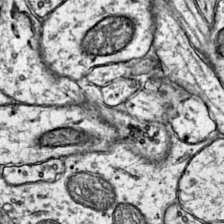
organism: Mouse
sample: Primary visual cortex